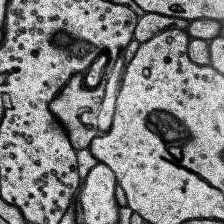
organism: Human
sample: Temporal Lobe